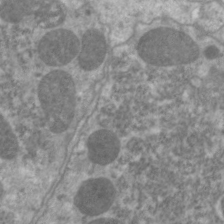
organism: C. elegans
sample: Pharynx